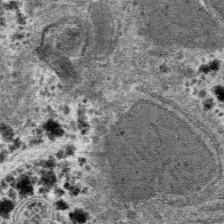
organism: Mouse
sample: Mouse hepatocytes